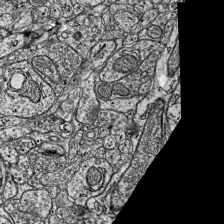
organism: Mouse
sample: Visual Cortex